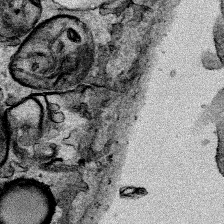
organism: Human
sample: Mitochondria in HCT116 cells